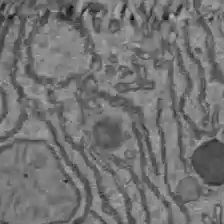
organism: C57BL Mouse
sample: Liver